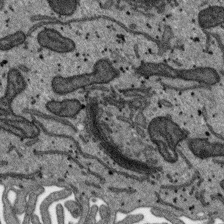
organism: Human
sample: Lung epithelial cells, uninfected (mock) control